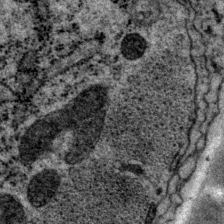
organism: P. pacificus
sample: Pharynx